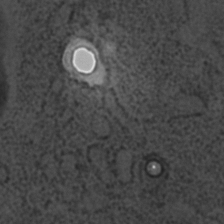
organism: C. elegans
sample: C. elegans embryo